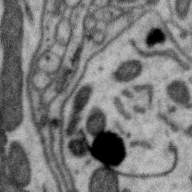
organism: Zebra finch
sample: Brain